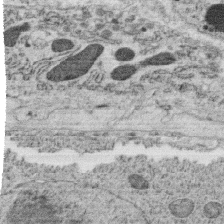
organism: C. elegans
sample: C. elegans oocyte; sperm cells